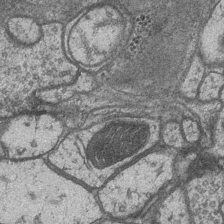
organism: Drosophila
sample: Optic medulla